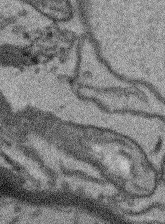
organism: Arabidopsis thaliana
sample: Root tip